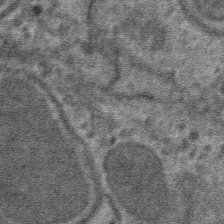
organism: Mouse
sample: Mouse hepatocytes